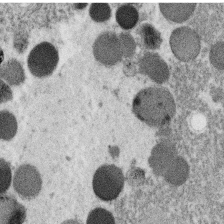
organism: C. elegans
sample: C. elegans oocyte; sperm cells